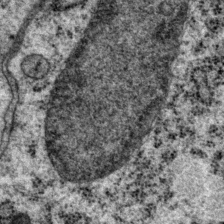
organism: P. pacificus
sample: Pharynx